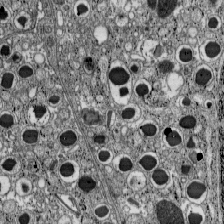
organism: C57BL Mouse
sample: Pancreatic islet